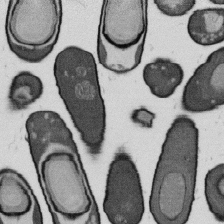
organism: B. subtilis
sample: Bacterial spore